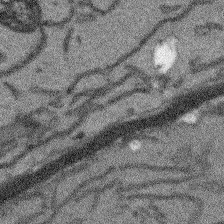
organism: Arabidopsis thaliana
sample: Root tip